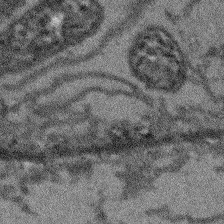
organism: Arabidopsis thaliana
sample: Root tip